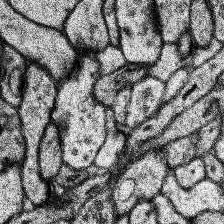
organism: Human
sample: Temporal Lobe